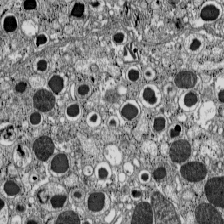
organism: C57BL Mouse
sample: Pancreatic islet